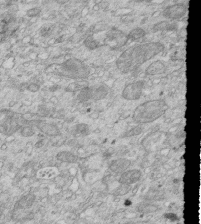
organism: Mouse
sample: Multiciliated cells